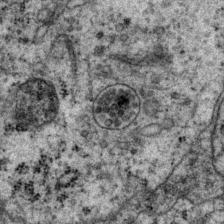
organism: P. pacificus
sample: Pharynx